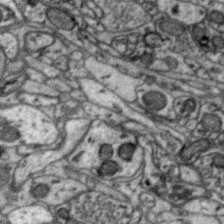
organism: Zebra finch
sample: Brain